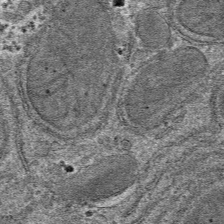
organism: Mouse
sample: Mouse hepatocytes